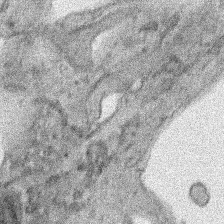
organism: Human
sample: Mitochondria in HCT116 cells